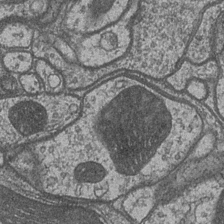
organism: Drosophila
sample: Optic medulla